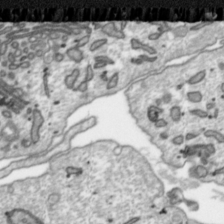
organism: Toxoplasma gondii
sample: Parasites in a vacuole inside a host cell